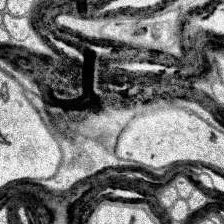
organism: Human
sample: Temporal Lobe